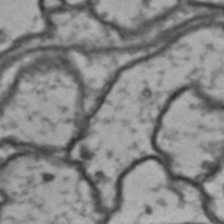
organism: Drosophila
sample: Brain